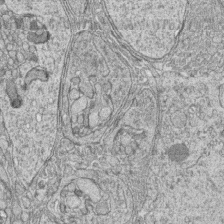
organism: Zebrafish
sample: synaptic ribbons in rod cells and cone cells